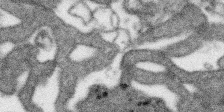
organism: Human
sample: Lung epithelial cells infected with SARS-CoV-2